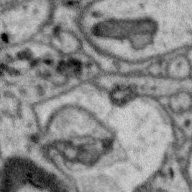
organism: Zebra finch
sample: Brain